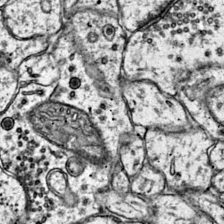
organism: Mouse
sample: Primary visual cortex